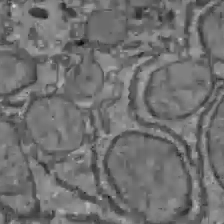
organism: C57BL Mouse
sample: Liver